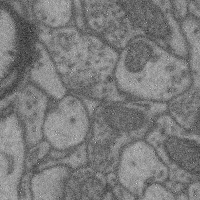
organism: Mouse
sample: Cerebral cortex